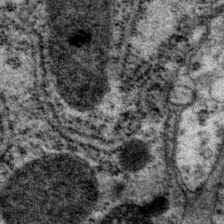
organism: P. pacificus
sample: Pharynx